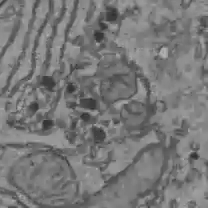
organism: C57BL Mouse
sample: Liver